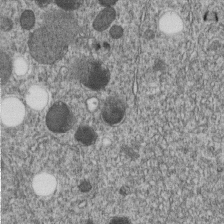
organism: C. elegans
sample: C. elegans embryo early stage